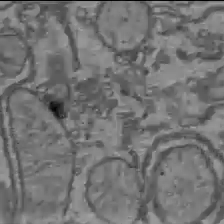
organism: C57BL Mouse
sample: Liver